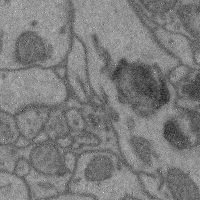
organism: Mouse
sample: Cerebral cortex